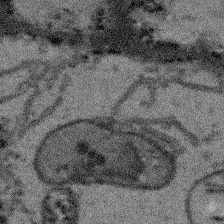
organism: Arabidopsis thaliana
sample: Root tip